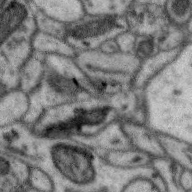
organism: Zebra finch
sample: Brain